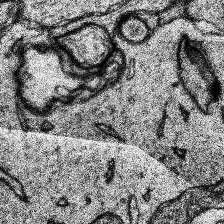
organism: Human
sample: Temporal Lobe